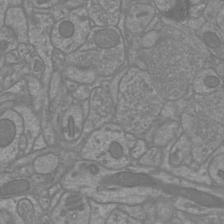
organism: Mouse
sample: Cortical neurons